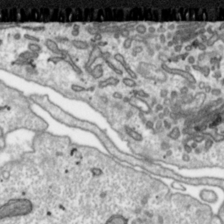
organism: Toxoplasma gondii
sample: Parasites in a vacuole inside a host cell